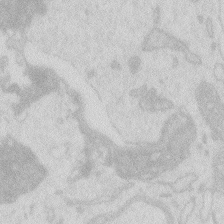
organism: Zebrafish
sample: Macrophage